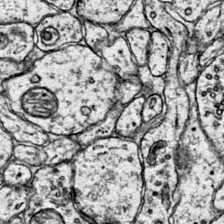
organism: Mouse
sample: Primary visual cortex